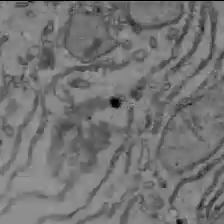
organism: C57BL Mouse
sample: Liver